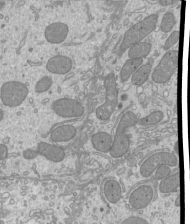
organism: Mouse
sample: Cilia; mouse epididymis